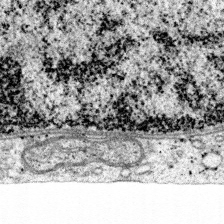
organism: Human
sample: HeLa cells